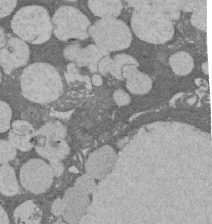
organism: Rat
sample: Salivary granule